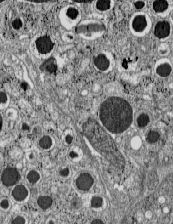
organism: C57BL Mouse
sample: Pancreatic islet